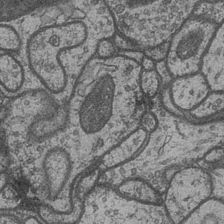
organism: Drosophila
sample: Optic medulla